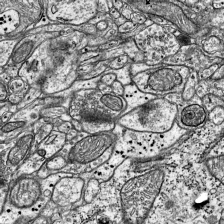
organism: Mouse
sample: Visual Cortex